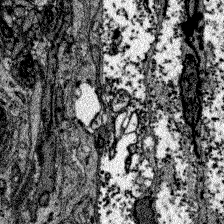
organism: Zebrafish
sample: Larval olfactory bulb